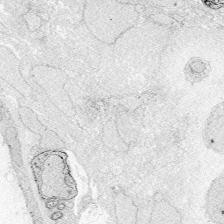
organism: Zebrafish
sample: Whole-Brain